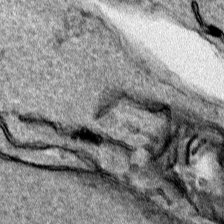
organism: Human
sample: Mitochondria in HCT116 cells